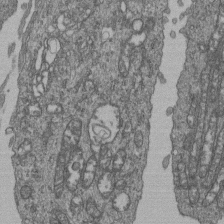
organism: Human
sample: Retinal organoid Rod and Cone cells